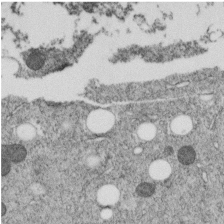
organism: C. elegans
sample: C. elegans embryo early stage